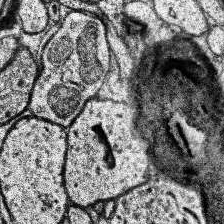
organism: Human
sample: Temporal Lobe